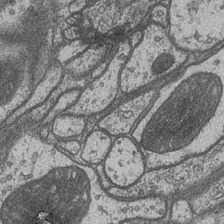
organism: Drosophila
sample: Optic medulla